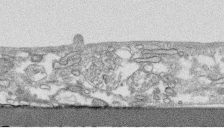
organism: Human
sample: CRL-1474